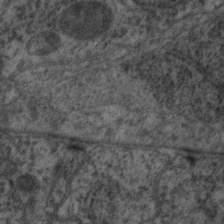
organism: C. elegans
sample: Pharynx